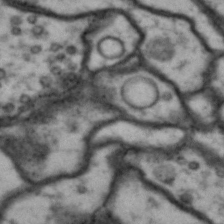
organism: Drosophila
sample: Brain